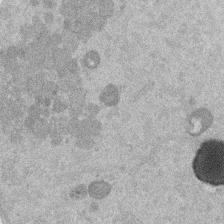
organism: Mouse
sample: Dividing mouse embryo 1 cell stage